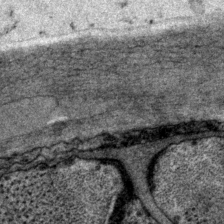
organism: P. pacificus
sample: Pharynx